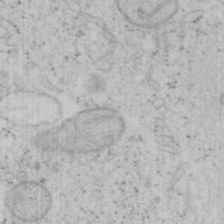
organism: Human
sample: HeLa cells